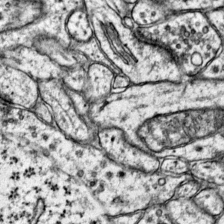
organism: Mouse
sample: Primary visual cortex